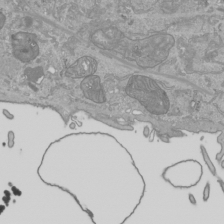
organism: Human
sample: Mitochondria in HCT116 cells